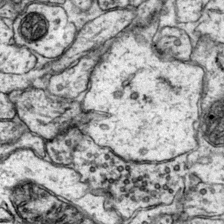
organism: Mouse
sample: Primary visual cortex